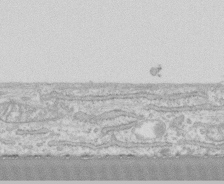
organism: Human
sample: CRL-1474